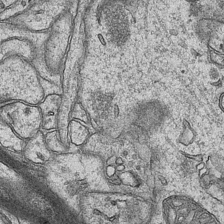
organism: Mouse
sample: CA1 Hippocampus